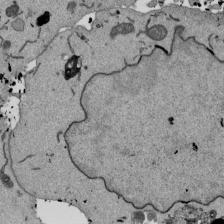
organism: Mouse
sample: ED-1 cell nuclei; centrioles